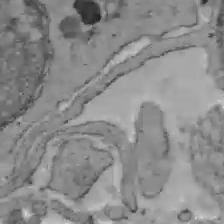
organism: C57BL Mouse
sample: Liver